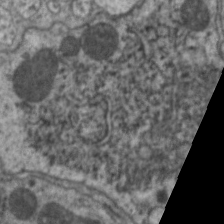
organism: C. elegans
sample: Pharynx